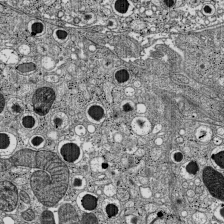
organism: C57BL Mouse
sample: Pancreatic islet